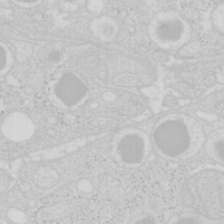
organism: Mouse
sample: Pancreas